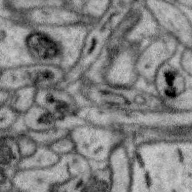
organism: Zebra finch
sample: Brain